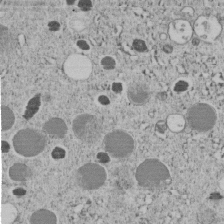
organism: C. elegans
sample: C. elegans embryo early stage